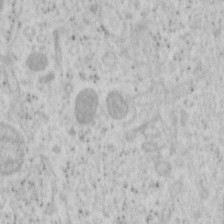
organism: Human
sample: HeLa cells